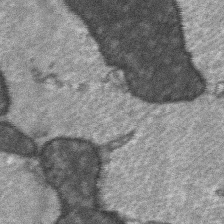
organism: C57BL Mouse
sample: Soleus